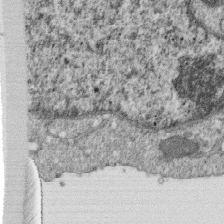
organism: African green monkey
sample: Vero E6 cells infected with SARS-CoV-2